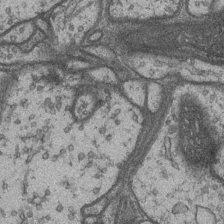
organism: Drosophila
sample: Optic medulla